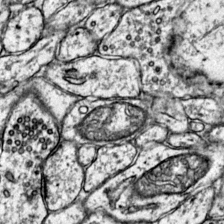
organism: Mouse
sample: Primary visual cortex